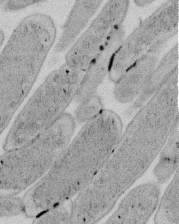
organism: E. coli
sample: Bacterial nucleoid